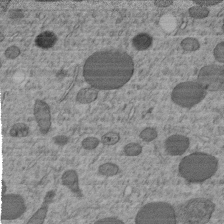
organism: C. elegans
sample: C. elegans embryo early stage